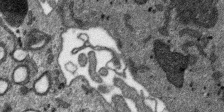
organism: Human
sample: Lung epithelial cells infected with SARS-CoV-2